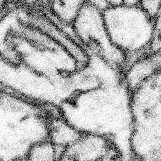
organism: Mouse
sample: Somatosensory cortex neuropil